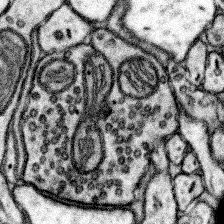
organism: Mouse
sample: Somatosensory cortex neuropil